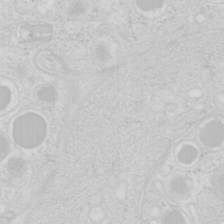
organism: Mouse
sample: Pancreas